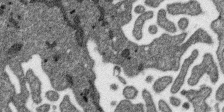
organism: Human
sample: Lung epithelial cells infected with SARS-CoV-2